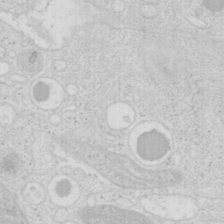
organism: Mouse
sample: Pancreas